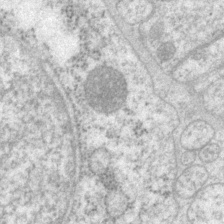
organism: P. pacificus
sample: Pharynx